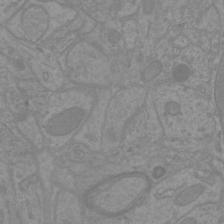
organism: Mouse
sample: Cortical neurons